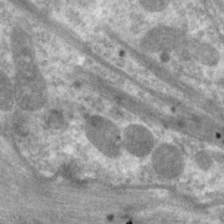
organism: C. elegans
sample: Pharynx